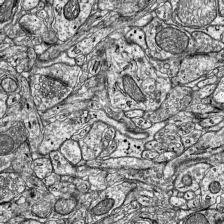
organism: Mouse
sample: Visual Cortex